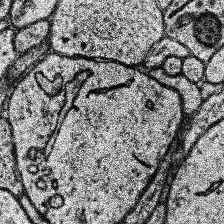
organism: Human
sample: Temporal Lobe